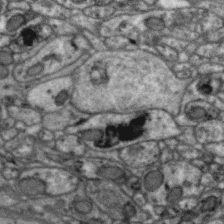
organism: Zebra finch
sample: Brain